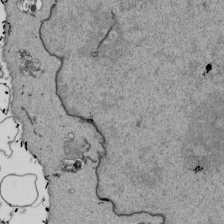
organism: Mouse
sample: ED-1 cell nuclei; centrioles